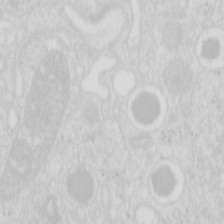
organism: Mouse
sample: Pancreas